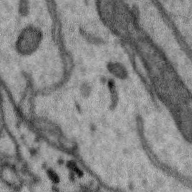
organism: Zebra finch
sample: Brain